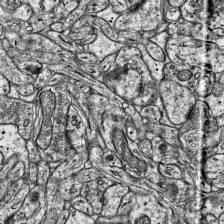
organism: Mouse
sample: Visual Cortex